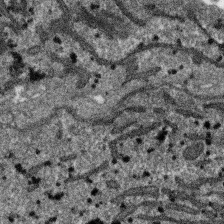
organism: Human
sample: Lung epithelial cells infected with SARS-CoV-2